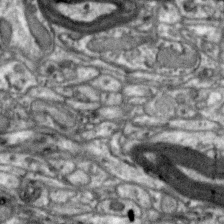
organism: Zebra finch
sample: Brain